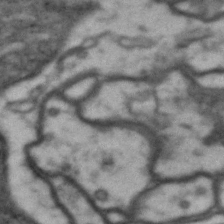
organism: Drosophila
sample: Brain